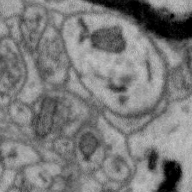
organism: Zebra finch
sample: Brain